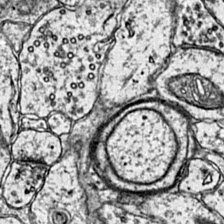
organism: Mouse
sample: Primary visual cortex